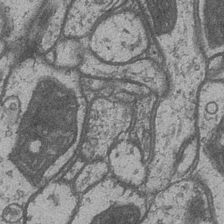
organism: Drosophila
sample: Optic medulla